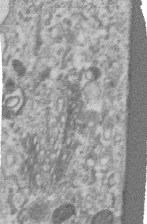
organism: Human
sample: Centriole in RPE cells